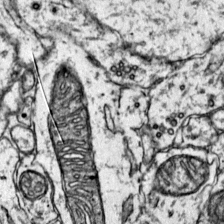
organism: Mouse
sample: Primary visual cortex